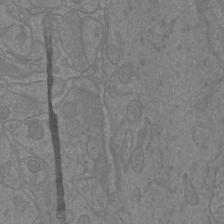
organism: Mouse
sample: Cortical neurons